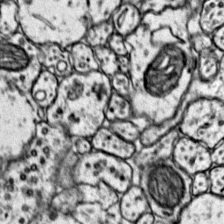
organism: Mouse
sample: Primary visual cortex